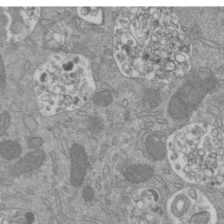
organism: Mouse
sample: ED-1 cell nuclei; centrioles